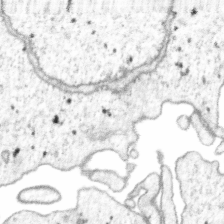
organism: Human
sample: HeLa cells